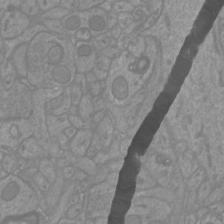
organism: Mouse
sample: Cortical neurons